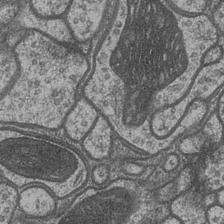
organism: Drosophila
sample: Optic medulla